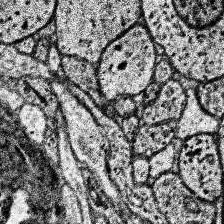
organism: Human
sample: Temporal Lobe